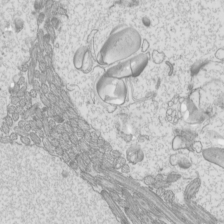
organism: Mouse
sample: Cilia; mouse epididymis